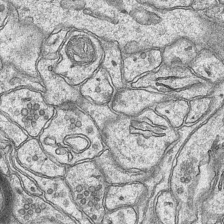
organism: Mouse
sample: CA1 Hippocampus